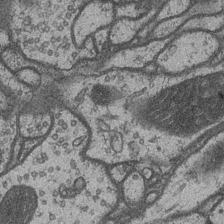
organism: Drosophila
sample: Optic medulla